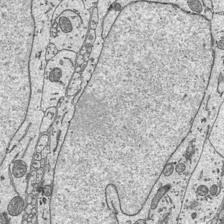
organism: Mouse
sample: Suprachiasmatic nucleus